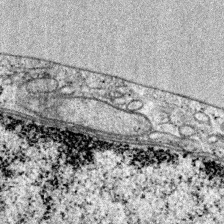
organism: Human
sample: HeLa cells